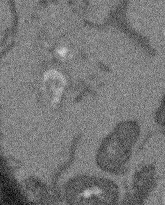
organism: Arabidopsis thaliana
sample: Root tip